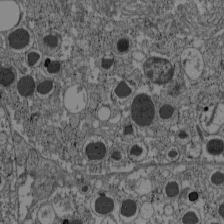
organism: C57BL Mouse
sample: Pancreatic islet